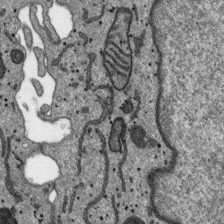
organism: Human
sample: Lung epithelial cells, uninfected (mock) control